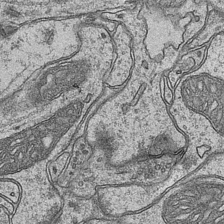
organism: Mouse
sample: CA1 Hippocampus